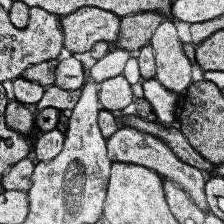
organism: Human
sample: Temporal Lobe